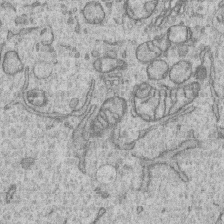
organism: Human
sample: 1205lu cells